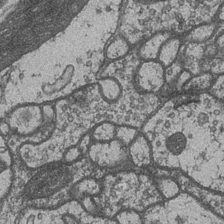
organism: Drosophila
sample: Optic medulla